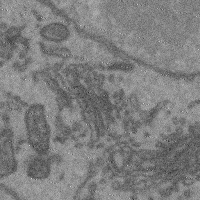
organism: Mouse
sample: Cerebral cortex